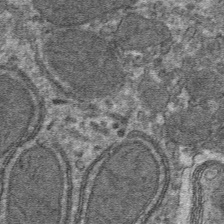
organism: Mouse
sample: Mouse hepatocytes